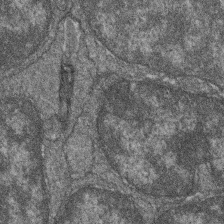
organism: Zebrafish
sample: Cilia; retinal pigment epithelium